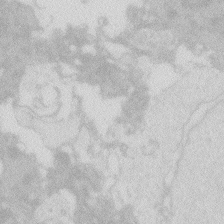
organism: Zebrafish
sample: Macrophage